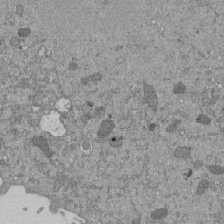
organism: Mouse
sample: ED-1 cell nuclei; centrioles